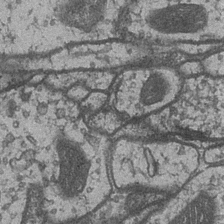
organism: Drosophila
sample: Optic medulla